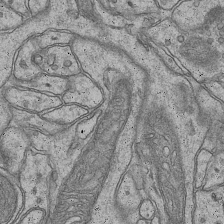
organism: Mouse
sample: CA1 Hippocampus